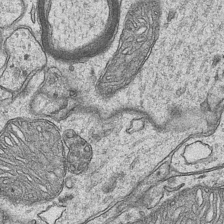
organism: Mouse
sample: CA1 Hippocampus